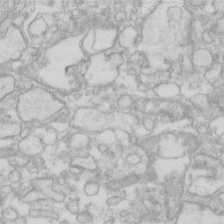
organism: Human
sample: Fibroblast cells